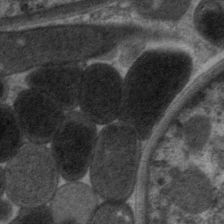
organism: C. elegans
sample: Pharynx